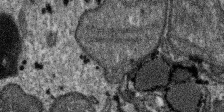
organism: Human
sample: Lung epithelial cells infected with SARS-CoV-2